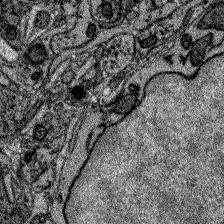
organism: Zebrafish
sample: Larval olfactory bulb